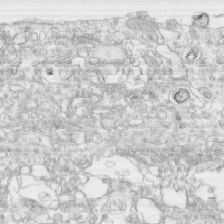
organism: Human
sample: CRL-1474